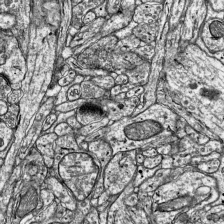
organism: Mouse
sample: Visual Cortex